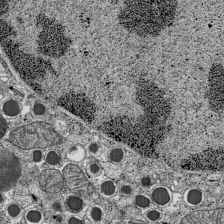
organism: C57BL Mouse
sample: Pancreatic islet